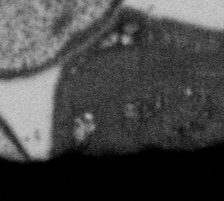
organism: Gemmata obscuriglobus